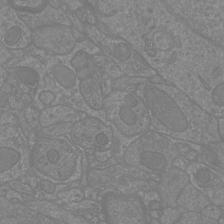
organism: Mouse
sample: Cortical neurons